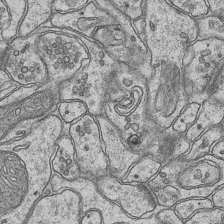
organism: Mouse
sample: CA1 Hippocampus